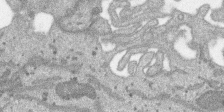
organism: Human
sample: Lung epithelial cells infected with SARS-CoV-2